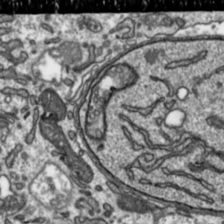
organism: Toxoplasma gondii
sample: Parasites in a vacuole inside a host cell